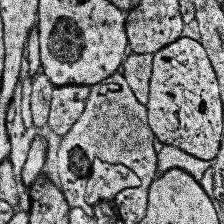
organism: Human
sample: Temporal Lobe